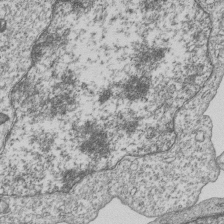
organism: Human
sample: MDA-MB-231 cells